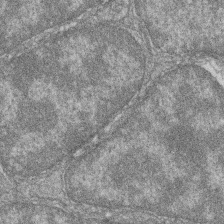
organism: Zebrafish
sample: Cilia; retinal pigment epithelium